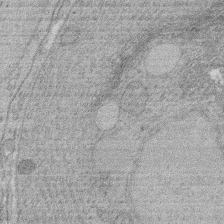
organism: Rat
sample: Salivary granule